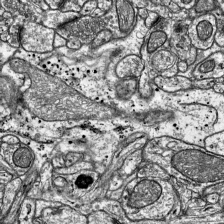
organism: Mouse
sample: Visual Cortex